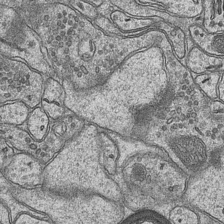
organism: Mouse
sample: CA1 Hippocampus